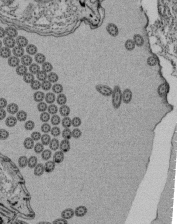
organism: Tetrahymena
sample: Cilia in tetrahymena